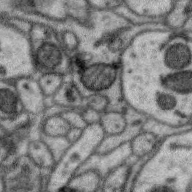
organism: Zebra finch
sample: Brain